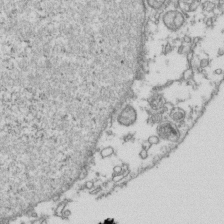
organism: Human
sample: Activated Jurkat CD4+ T cells